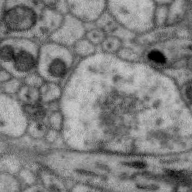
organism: Zebra finch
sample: Brain